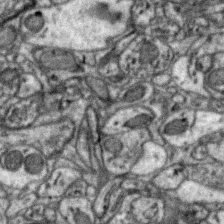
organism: Zebra finch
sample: Brain